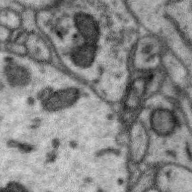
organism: Zebra finch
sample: Brain